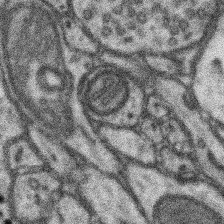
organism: Mouse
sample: Somatosensory cortex neuropil